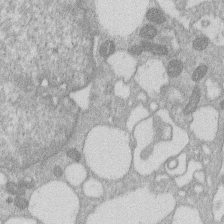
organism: Human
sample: Macrophage cells